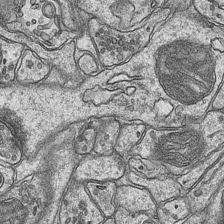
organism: Mouse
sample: CA1 Hippocampus